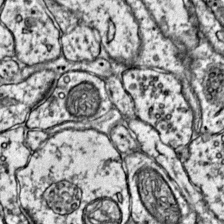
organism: Mouse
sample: Primary visual cortex